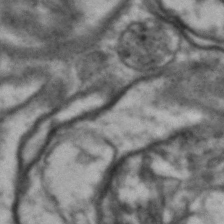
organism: Drosophila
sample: Brain